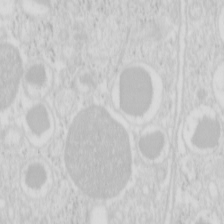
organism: Mouse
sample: Pancreas